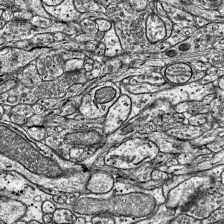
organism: Mouse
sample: Visual Cortex